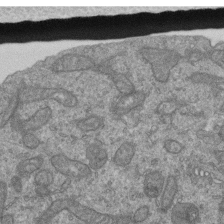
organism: Human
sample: Retinal organoid Rod and Cone cells